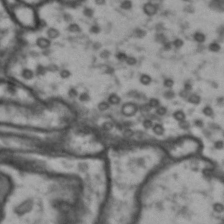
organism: Drosophila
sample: Brain